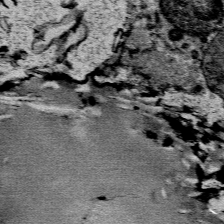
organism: Mouse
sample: Mouse Salivary gland